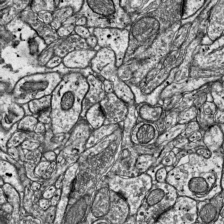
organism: Mouse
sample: Visual Cortex